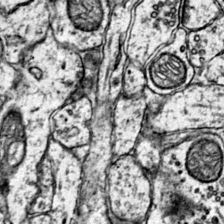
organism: Mouse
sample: Primary visual cortex